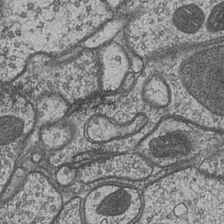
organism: Drosophila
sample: Optic medulla